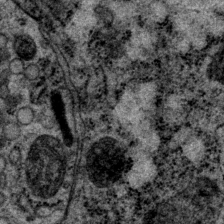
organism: P. pacificus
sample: Pharynx